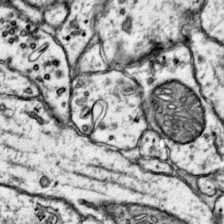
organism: Mouse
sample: Primary visual cortex